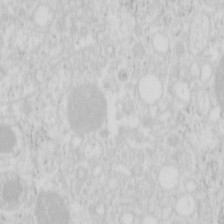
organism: Mouse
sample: Pancreas